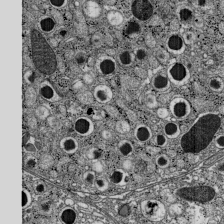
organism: C57BL Mouse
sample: Pancreatic islet